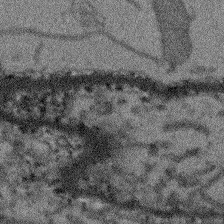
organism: Arabidopsis thaliana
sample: Root tip